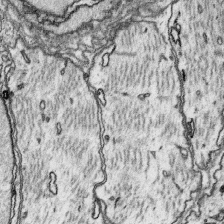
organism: Platynereis dumerilii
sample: Parapodia